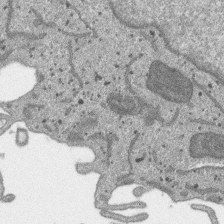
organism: Human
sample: Lung epithelial cells infected with SARS-CoV-2